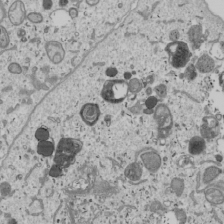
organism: Human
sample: Mitochondria in U2OS cells